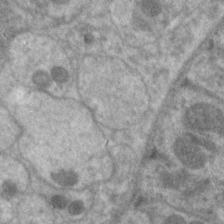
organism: C. elegans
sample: Pharynx